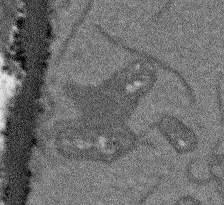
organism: Arabidopsis thaliana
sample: Root tip